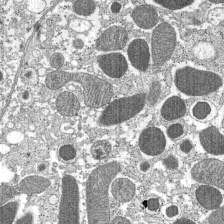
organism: C57BL Mouse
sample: Pancreatic islet